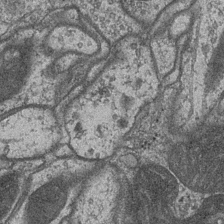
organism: Drosophila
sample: Optic medulla